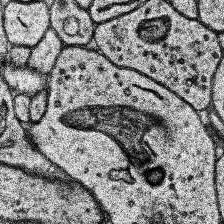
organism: Human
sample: Temporal Lobe